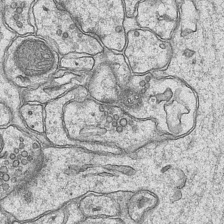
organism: Mouse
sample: CA1 Hippocampus